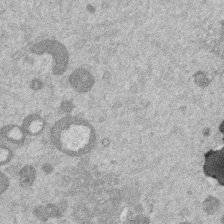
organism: Mouse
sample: Dividing mouse embryo 1 cell stage